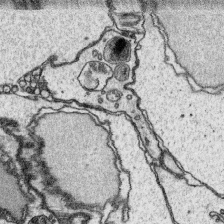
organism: Platynereis dumerilii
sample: Parapodia